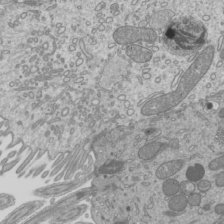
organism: Mouse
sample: Cilia; mouse epididymis